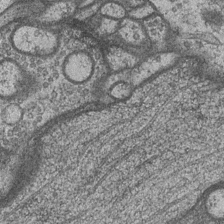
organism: Drosophila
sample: Optic medulla